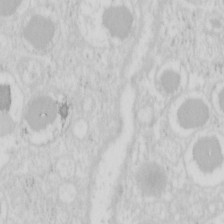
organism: Mouse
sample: Pancreas